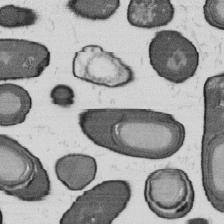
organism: B. subtilis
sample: Bacterial spore